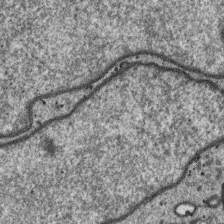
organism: Human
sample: Lung epithelial cells infected with SARS-CoV-2